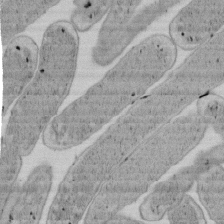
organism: E. coli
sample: Bacterial nucleoid